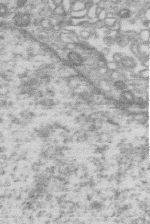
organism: Human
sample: Macrophage cells